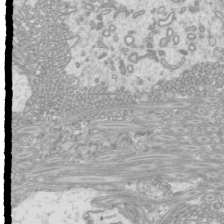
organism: Mouse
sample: Cilia; mouse epididymis